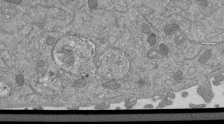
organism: Mouse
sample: ED-1 cell nuclei; centrioles